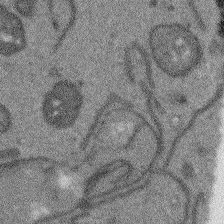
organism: Arabidopsis thaliana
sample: Root tip